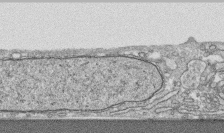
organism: Human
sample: CRL-1474